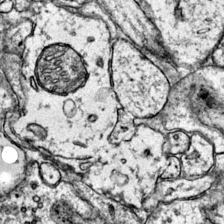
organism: Mouse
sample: Primary visual cortex